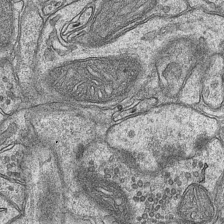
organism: Mouse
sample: CA1 Hippocampus